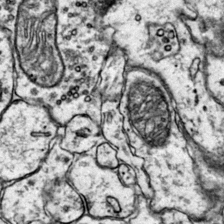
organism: Mouse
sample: Primary visual cortex